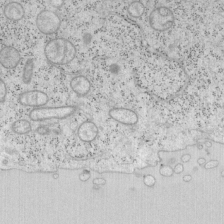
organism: Mouse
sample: OT-I killer T cells with ID8 ovarian cancer cells